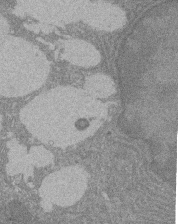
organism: Rat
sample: Salivary granule